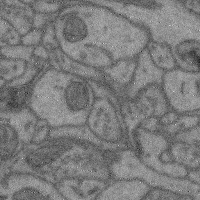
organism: Mouse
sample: Cerebral cortex